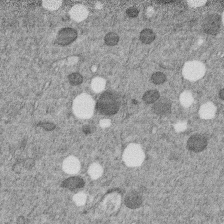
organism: C. elegans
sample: C. elegans embryo early stage